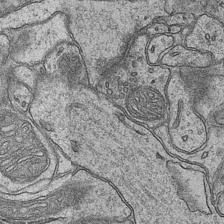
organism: Mouse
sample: CA1 Hippocampus